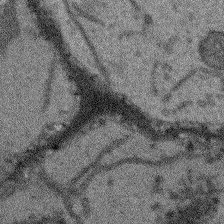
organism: Arabidopsis thaliana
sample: Root tip